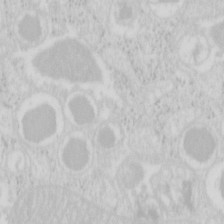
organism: Mouse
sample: Pancreas